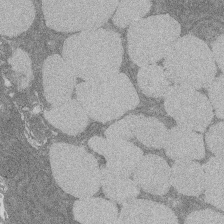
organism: Rat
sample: Salivary granule